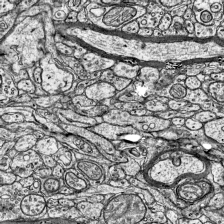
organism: Mouse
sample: Visual Cortex